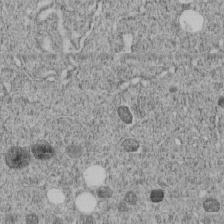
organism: C. elegans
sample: C. elegans embryo early stage